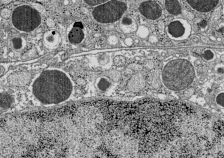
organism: C57BL Mouse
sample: Pancreatic islet